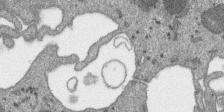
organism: Human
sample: Lung epithelial cells infected with SARS-CoV-2